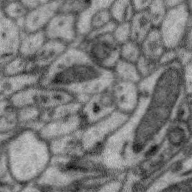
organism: Zebra finch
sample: Brain